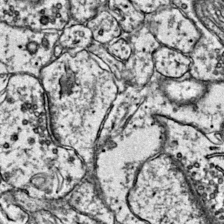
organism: Mouse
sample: Primary visual cortex